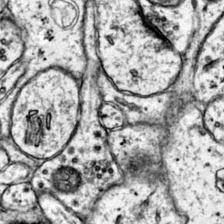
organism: Mouse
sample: Primary visual cortex